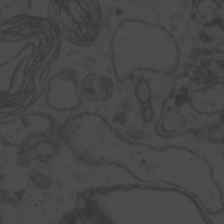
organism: Zebrafish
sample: Macrophage infected with Toxoplasma gondii